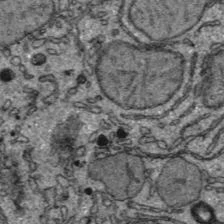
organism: C57BL Mouse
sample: Liver